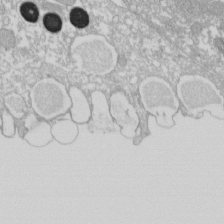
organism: Xenopus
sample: Cilia; centrioles in frog embryo cells